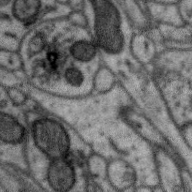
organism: Zebra finch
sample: Brain